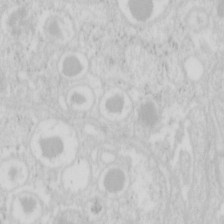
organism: Mouse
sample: Pancreas